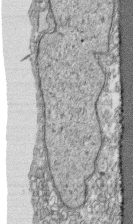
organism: Human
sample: CRL-1474